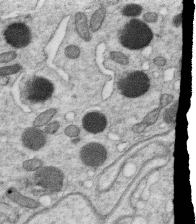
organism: C. elegans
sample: C. elegans oocyte; sperm cells